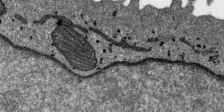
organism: Human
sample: Lung epithelial cells, uninfected (mock) control